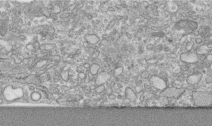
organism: Human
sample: Centriole in RPE cells